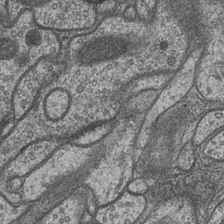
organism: Drosophila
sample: Optic medulla